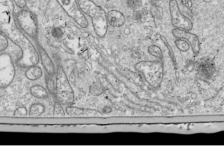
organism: Drosophila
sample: Cell division; meiosis; drosophila spermatocytes